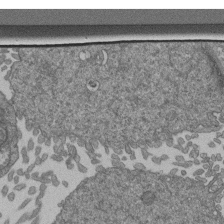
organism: Human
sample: Retinal organoid Rod and Cone cells